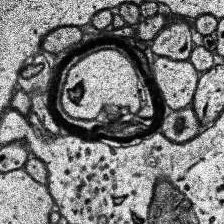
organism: Human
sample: Temporal Lobe